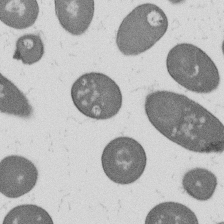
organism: B. subtilis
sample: Bacterial spore